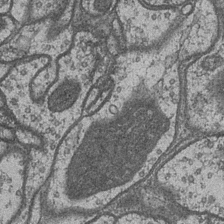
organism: Drosophila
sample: Optic medulla